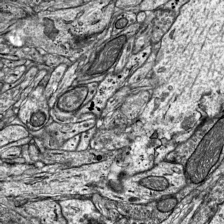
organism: Mouse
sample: Visual Cortex